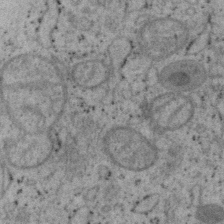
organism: Human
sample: HeLa cells